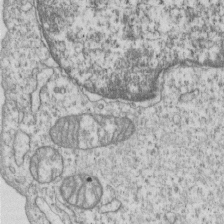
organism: Human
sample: MDA-MB-231 cells